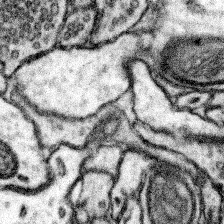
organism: Mouse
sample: Somatosensory cortex neuropil